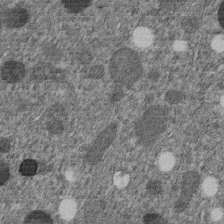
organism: C. elegans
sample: C. elegans embryo early stage